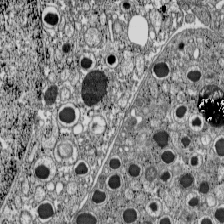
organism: C57BL Mouse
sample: Pancreatic islet